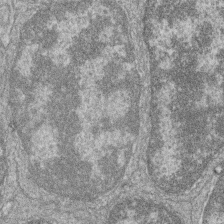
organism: Zebrafish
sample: Cilia; retinal pigment epithelium